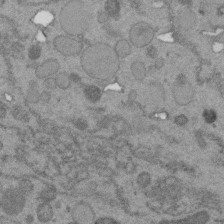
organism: C. elegans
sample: C. elegans embryo early stage